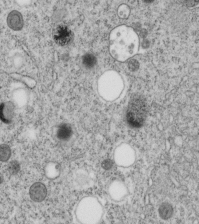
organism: C. elegans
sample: C. elegans embryo early stage